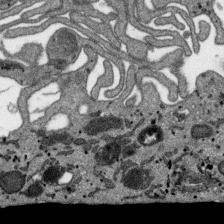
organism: Human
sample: Lung epithelial cells, uninfected (mock) control